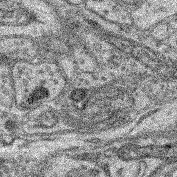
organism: Mouse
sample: Retina